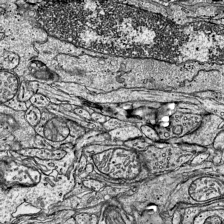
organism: Mouse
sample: Visual Cortex